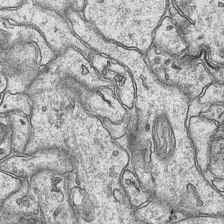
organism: Mouse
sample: CA1 Hippocampus